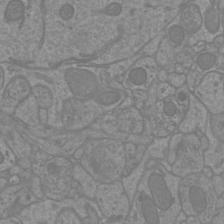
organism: Mouse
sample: Cortical neurons